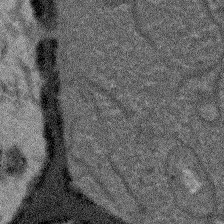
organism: Arabidopsis thaliana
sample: Root tip